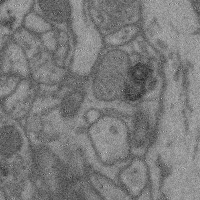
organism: Mouse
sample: Cerebral cortex